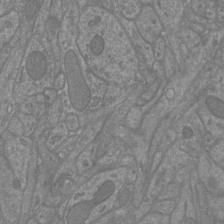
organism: Mouse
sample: Cortical neurons